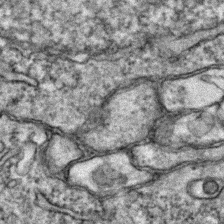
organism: Zebrafish